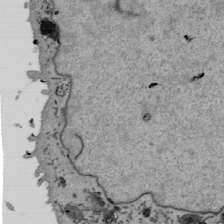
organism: Mouse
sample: ED-1 cell nuclei; centrioles